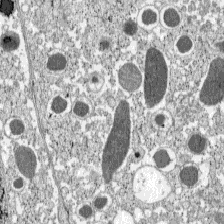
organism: C57BL Mouse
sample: Pancreatic islet